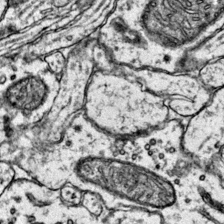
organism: Mouse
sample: Primary visual cortex